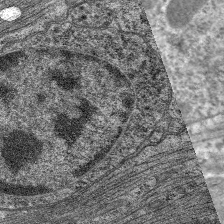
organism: C. elegans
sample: Pharynx